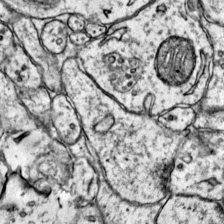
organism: Mouse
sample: Primary visual cortex